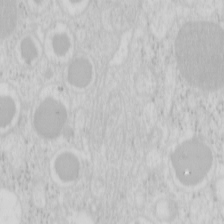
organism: Mouse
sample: Pancreas